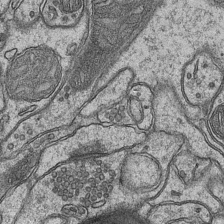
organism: Mouse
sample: CA1 Hippocampus